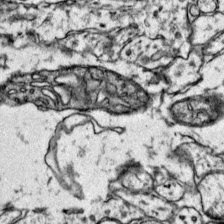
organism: Mouse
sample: Primary visual cortex